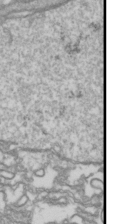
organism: Drosophila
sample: Cell division; meiosis; drosophila spermatocytes